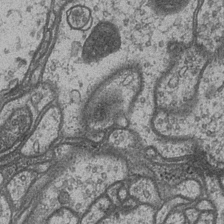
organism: Drosophila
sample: Optic medulla